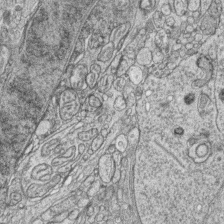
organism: Zebrafish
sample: synaptic ribbons in rod cells and cone cells